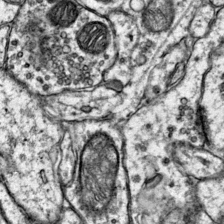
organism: Mouse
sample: Primary visual cortex